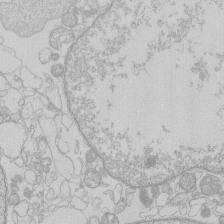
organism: Human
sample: Macrophage cells